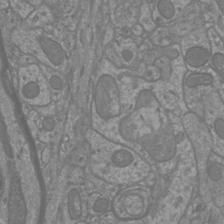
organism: Mouse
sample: Cortical neurons